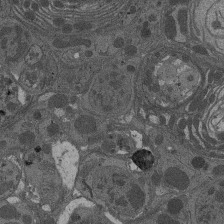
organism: Drosophila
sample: Antenna